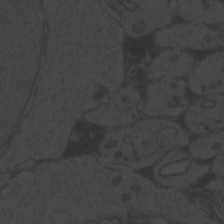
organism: Zebrafish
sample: Macrophage infected with Toxoplasma gondii